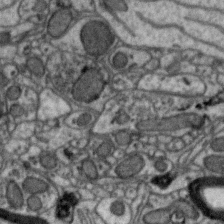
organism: Zebra finch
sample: Brain